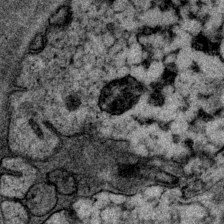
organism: P. pacificus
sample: Pharynx